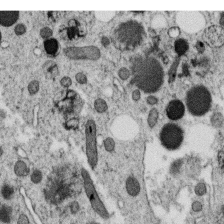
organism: C. elegans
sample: C. elegans oocyte; sperm cells